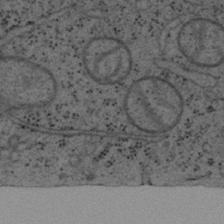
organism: Human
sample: HeLa cells